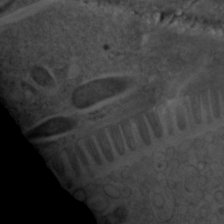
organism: C. elegans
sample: C. elegans embryo